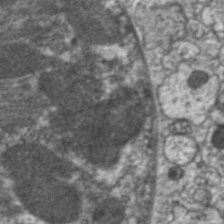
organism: C. elegans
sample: Pharynx